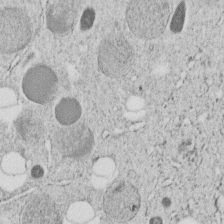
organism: C. elegans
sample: C. elegans embryo early stage